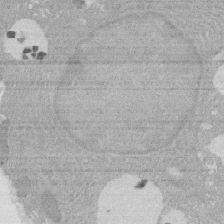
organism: Rat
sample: Salivary granule